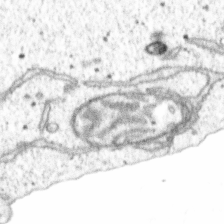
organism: Human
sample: HeLa cells